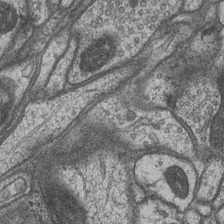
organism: Drosophila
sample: Optic medulla